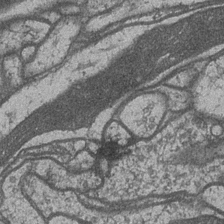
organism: Drosophila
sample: Optic medulla